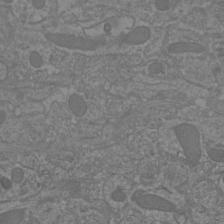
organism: Mouse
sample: Cortical neurons